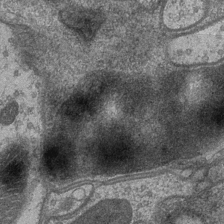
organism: Drosophila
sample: Optic medulla